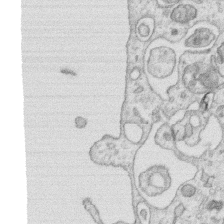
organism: Human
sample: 1205lu cells